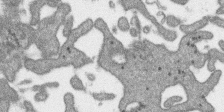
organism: Human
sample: Lung epithelial cells infected with SARS-CoV-2